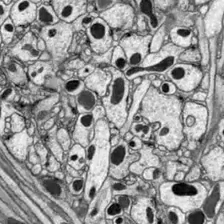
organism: Drosophila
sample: Optic lobe